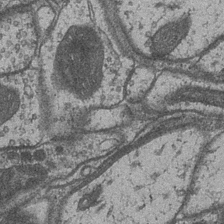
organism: Drosophila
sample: Optic medulla